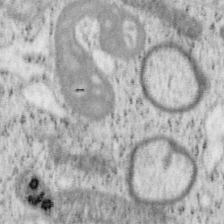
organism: Mouse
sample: OT-I killer T cells with ID8 ovarian cancer cells